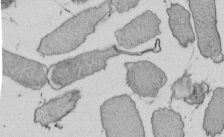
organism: E. coli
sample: Bacterial nucleoid